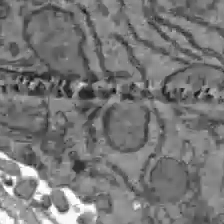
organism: C57BL Mouse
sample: Liver